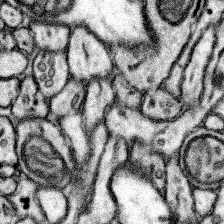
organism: Mouse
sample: Somatosensory cortex neuropil